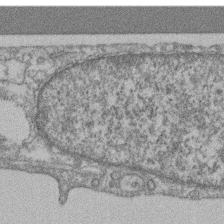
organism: Mouse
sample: T cell stromal cell synapse